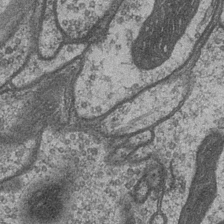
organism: Drosophila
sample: Optic medulla